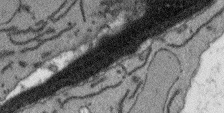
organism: Arabidopsis thaliana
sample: Root tip